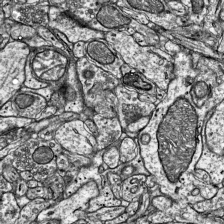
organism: Mouse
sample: Visual Cortex